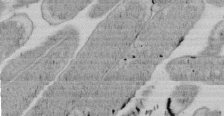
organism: E. coli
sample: Bacterial nucleoid